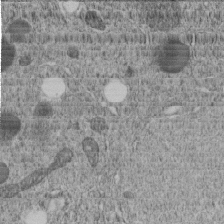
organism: C. elegans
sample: C. elegans embryo early stage